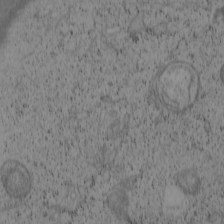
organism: African green monkey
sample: COS-7 cells